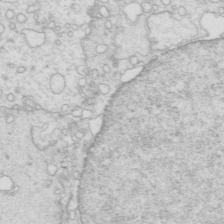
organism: Mouse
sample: Multiciliated cells